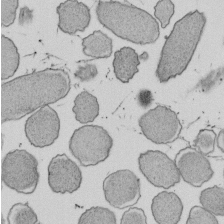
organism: E. coli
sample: Bacterial nucleoid